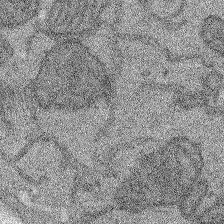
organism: Human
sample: HeLa cells